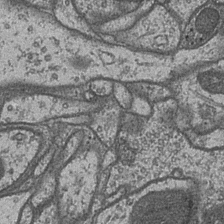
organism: Drosophila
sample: Optic medulla